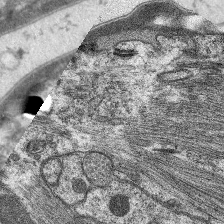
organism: C. elegans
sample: Pharynx